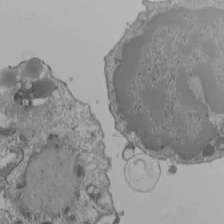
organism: Human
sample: Jurkat E6-1 and CD4 cells